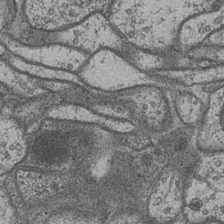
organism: Drosophila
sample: Optic medulla